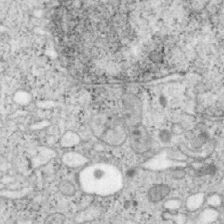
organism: Mouse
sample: OT-I killer T cells with ID8 ovarian cancer cells